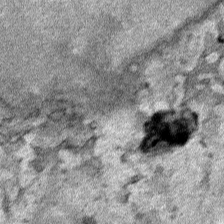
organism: Human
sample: Mitochondria in HCT116 cells